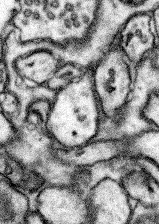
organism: Mouse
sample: Somatosensory cortex neuropil